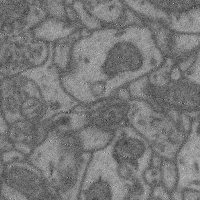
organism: Mouse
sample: Cerebral cortex